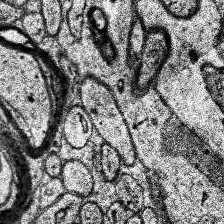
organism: Human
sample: Temporal Lobe